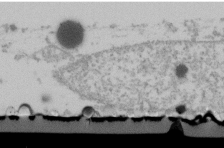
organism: Human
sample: U2-OS cells